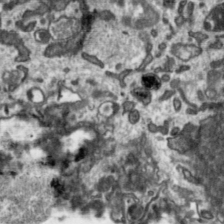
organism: Toxoplasma gondii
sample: Parasites in a vacuole inside a host cell